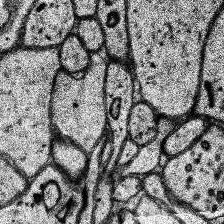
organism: Human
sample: Temporal Lobe